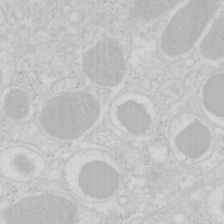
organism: Mouse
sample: Pancreas